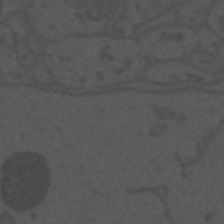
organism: Mouse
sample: Suprachiasmatic nucleus